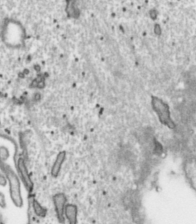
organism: Toxoplasma gondii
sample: Parasites in a vacuole inside a host cell